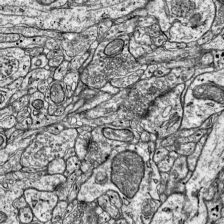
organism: Mouse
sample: Visual Cortex